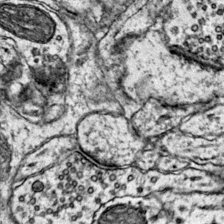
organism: Mouse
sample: Primary visual cortex